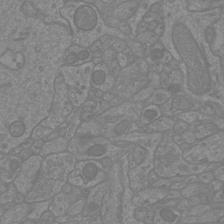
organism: Mouse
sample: Cortical neurons